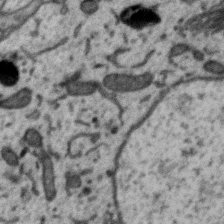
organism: Zebra finch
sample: Brain